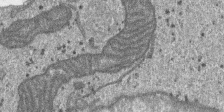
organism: Human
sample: Lung epithelial cells infected with SARS-CoV-2